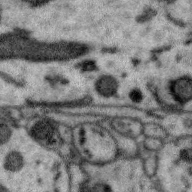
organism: Zebra finch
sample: Brain